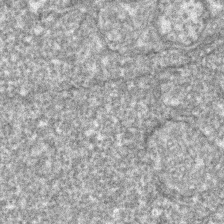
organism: Zebrafish